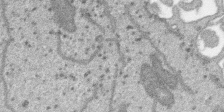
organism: Human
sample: Lung epithelial cells infected with SARS-CoV-2